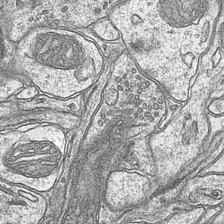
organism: Mouse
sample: CA1 Hippocampus